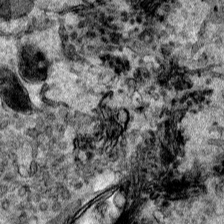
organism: Human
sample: Mitochondria in HCT116 cells